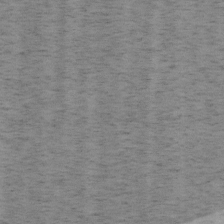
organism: Mouse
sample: OT-I killer T cells with ID8 ovarian cancer cells